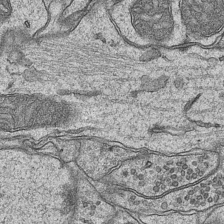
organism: Mouse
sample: CA1 Hippocampus